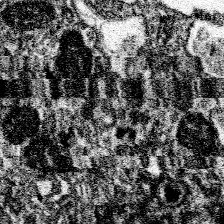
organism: Spongilla lacustris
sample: Neuroid cell